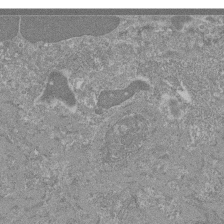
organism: Mouse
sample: Glomerulus